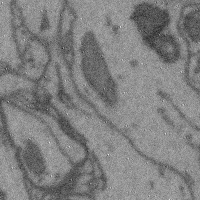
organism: Mouse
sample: Cerebral cortex